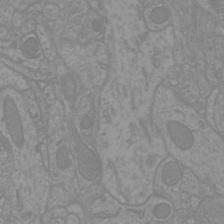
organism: Mouse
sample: Cortical neurons